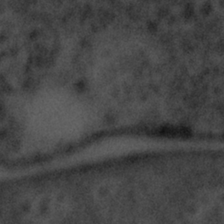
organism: Tuwongella immobilis